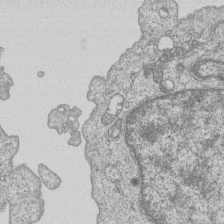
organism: Human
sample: MDA-MB-231 cells